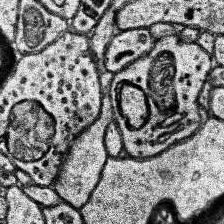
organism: Human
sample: Temporal Lobe